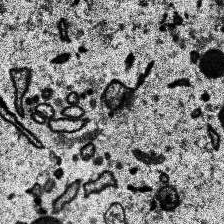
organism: Human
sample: Temporal Lobe